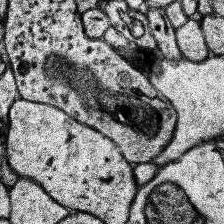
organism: Human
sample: Temporal Lobe